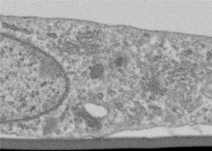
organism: Human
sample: Centriole in RPE cells